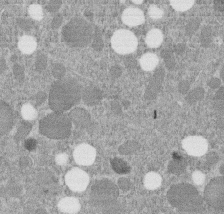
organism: C. elegans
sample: C. elegans embryo early stage